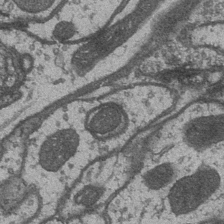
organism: Drosophila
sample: Optic medulla